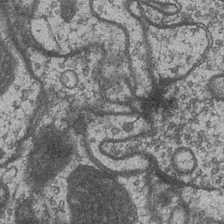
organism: Drosophila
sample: Optic medulla